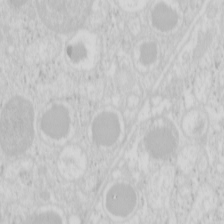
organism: Mouse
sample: Pancreas